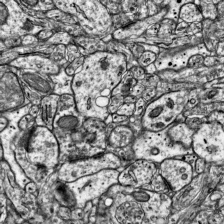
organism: Mouse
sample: Visual Cortex